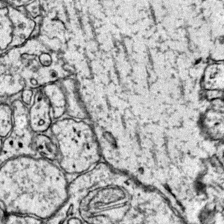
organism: Mouse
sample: Primary visual cortex